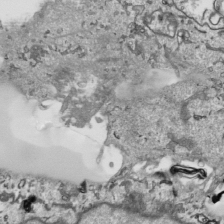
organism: Human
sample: Mitochondria in HCT116 cells